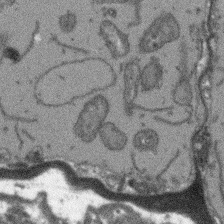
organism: Arabidopsis thaliana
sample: Root tip